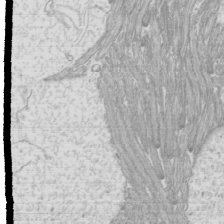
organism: Mouse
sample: Cilia; mouse epididymis